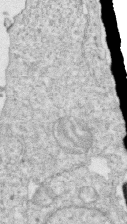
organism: Human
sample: HeLa cell HIV synapse